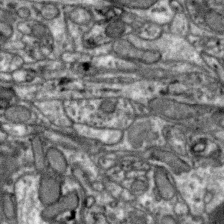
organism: Zebra finch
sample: Brain